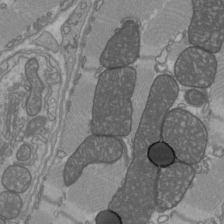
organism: C57BL Mouse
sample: Heart